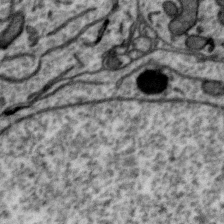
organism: Zebra finch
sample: Brain